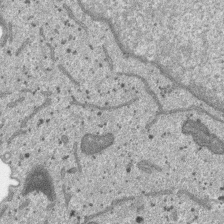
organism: Human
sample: Lung epithelial cells infected with SARS-CoV-2